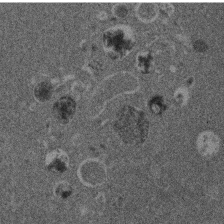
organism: Mouse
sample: Dividing mouse embryo 1 cell stage